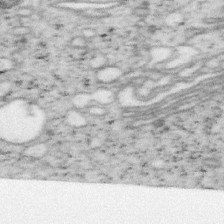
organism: Mouse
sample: OT-I killer T cells with ID8 ovarian cancer cells